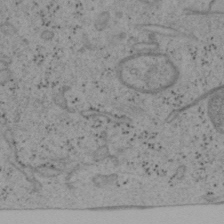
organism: Human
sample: HeLa cells